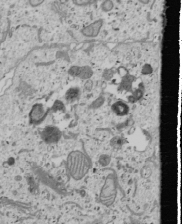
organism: Human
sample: Mitochondria in U2OS cells